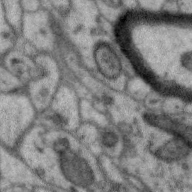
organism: Zebra finch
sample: Brain